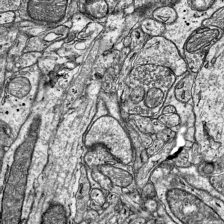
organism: Mouse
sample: Visual Cortex